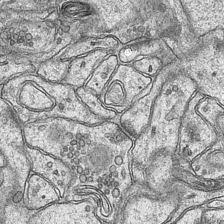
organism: Mouse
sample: CA1 Hippocampus